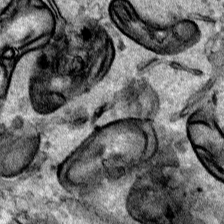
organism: Human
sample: Mitochondria in HCT116 cells